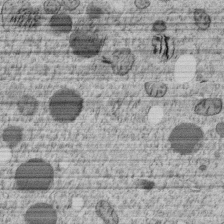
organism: C. elegans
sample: C. elegans embryo early stage